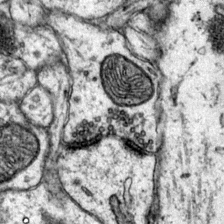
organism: Mouse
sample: Primary visual cortex